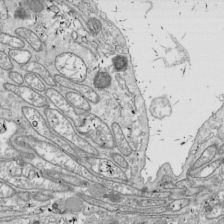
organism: Drosophila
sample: Cell division; meiosis; drosophila spermatocytes